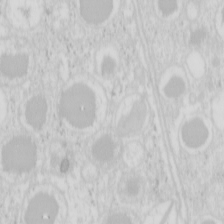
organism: Mouse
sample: Pancreas